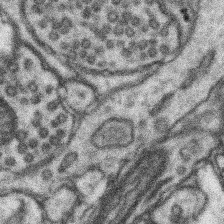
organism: Mouse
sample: Somatosensory cortex neuropil